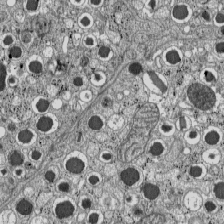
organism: C57BL Mouse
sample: Pancreatic islet